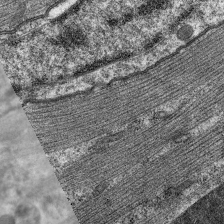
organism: C. elegans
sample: Pharynx